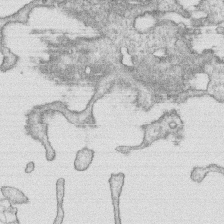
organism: Human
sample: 1205lu cells